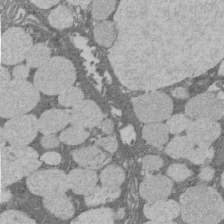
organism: Rat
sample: Salivary granule